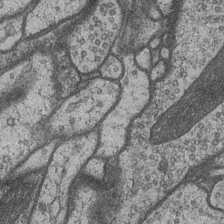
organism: Drosophila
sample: Optic medulla